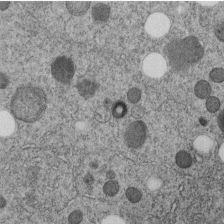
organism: C. elegans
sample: C. elegans embryo early stage